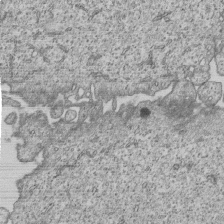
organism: Human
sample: MDA-MB-231 cells